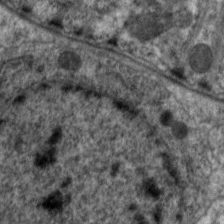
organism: C. elegans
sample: Pharynx